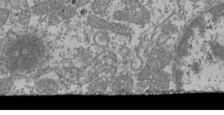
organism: Mouse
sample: Glomerulus